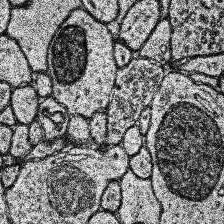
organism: Human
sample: Temporal Lobe